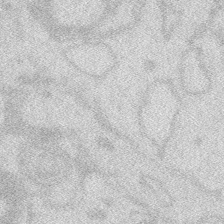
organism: Zebrafish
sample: Macrophage